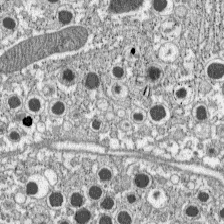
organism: C57BL Mouse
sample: Pancreatic islet